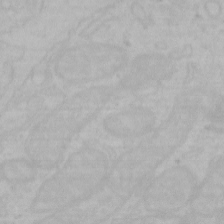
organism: Mouse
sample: Choroid plexus